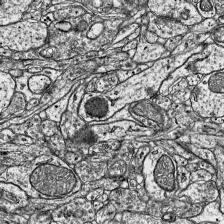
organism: Mouse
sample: Visual Cortex